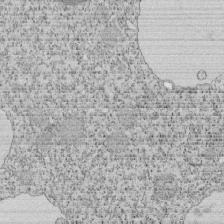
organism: Tetrahymena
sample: Cilia in tetrahymena